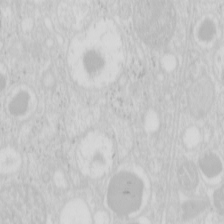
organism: Mouse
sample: Pancreas